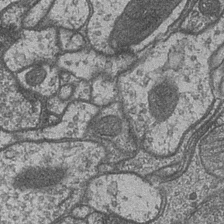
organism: Drosophila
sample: Optic medulla